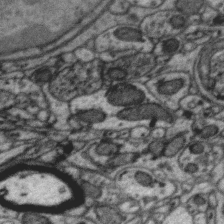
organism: Zebra finch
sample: Brain